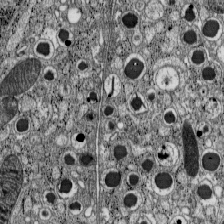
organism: C57BL Mouse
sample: Pancreatic islet